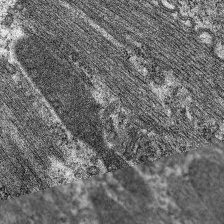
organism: C. elegans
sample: Pharynx